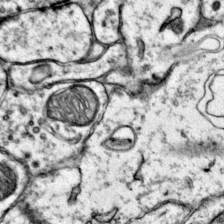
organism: Mouse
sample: Primary visual cortex